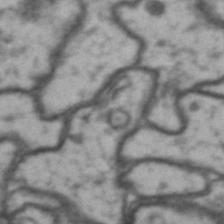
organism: Drosophila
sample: Brain